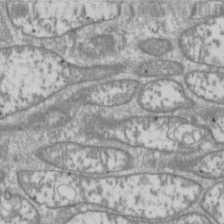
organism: Drosophila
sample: Cell division; meiosis; drosophila spermatocytes